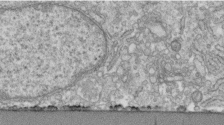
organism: Human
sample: Centriole in fibroblast cells